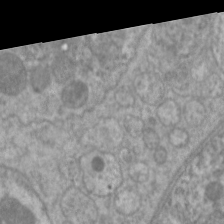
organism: C. elegans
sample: Pharynx